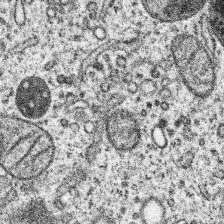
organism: Human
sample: HeLa cells